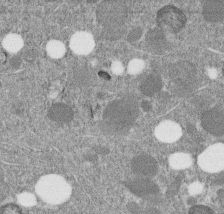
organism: C. elegans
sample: C. elegans embryo early stage